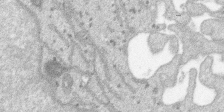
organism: Human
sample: Lung epithelial cells infected with SARS-CoV-2